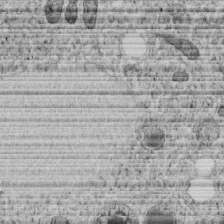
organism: C. elegans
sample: C. elegans embryo early stage